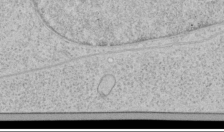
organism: Human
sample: Mitochondria in HCT116 cells